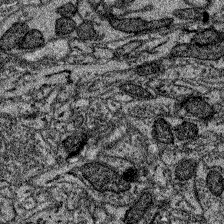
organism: Zebrafish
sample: Larval olfactory bulb